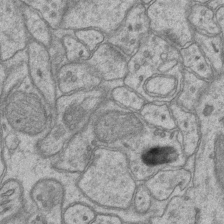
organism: Mouse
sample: CA1 Hippocampus